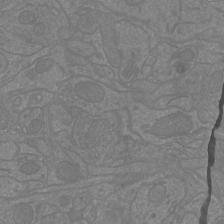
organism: Mouse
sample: Cortical neurons